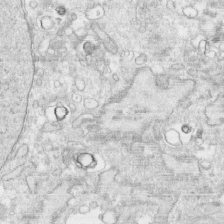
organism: Human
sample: CRL-1474